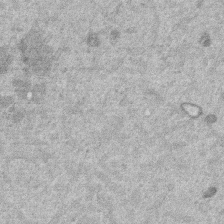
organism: Mouse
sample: Dividing mouse embryo 1 cell stage